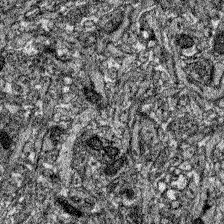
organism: Zebrafish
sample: Larval olfactory bulb